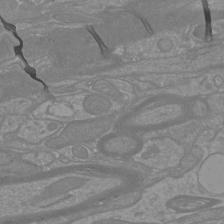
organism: Mouse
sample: Cortical neurons